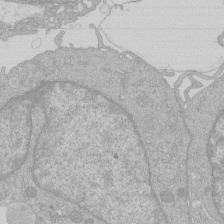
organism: Human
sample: Macrophage cells